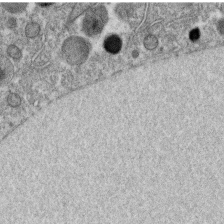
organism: C. elegans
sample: C. elegans oocyte; sperm cells